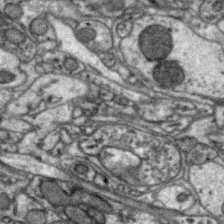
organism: Zebra finch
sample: Brain